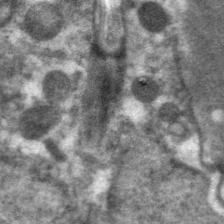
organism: C. elegans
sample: Pharynx